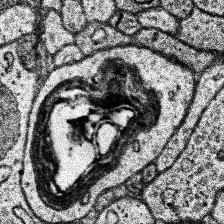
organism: Human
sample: Temporal Lobe